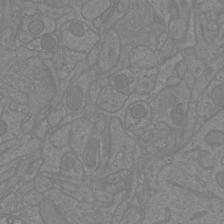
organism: Mouse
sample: Cortical neurons